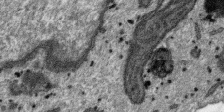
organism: Human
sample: Lung epithelial cells, uninfected (mock) control